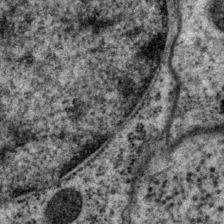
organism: P. pacificus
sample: Pharynx